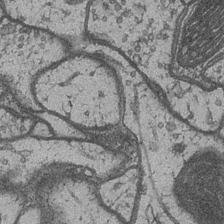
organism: Drosophila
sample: Optic medulla